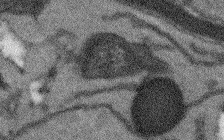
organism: Arabidopsis thaliana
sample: Root tip